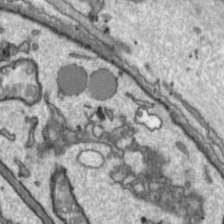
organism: Toxoplasma gondii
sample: Parasites in a vacuole inside a host cell